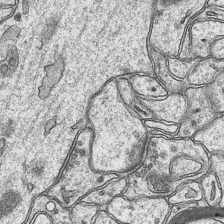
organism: Mouse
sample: CA1 Hippocampus